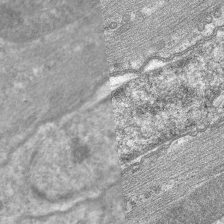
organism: C. elegans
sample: Pharynx